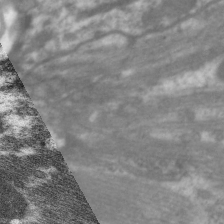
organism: C. elegans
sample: Pharynx